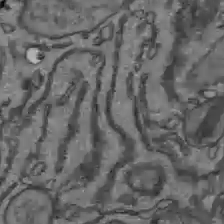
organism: C57BL Mouse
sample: Liver